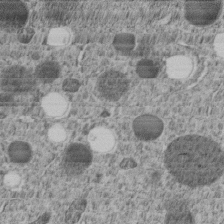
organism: C. elegans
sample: C. elegans embryo early stage